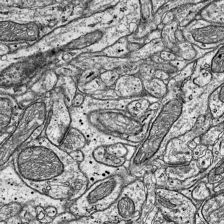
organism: Mouse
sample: Visual Cortex